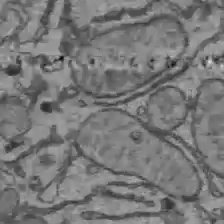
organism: C57BL Mouse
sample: Liver